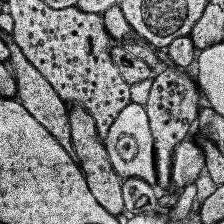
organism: Human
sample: Temporal Lobe